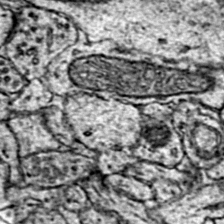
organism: Mouse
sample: Primary visual cortex